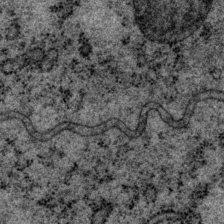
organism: P. pacificus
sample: Pharynx